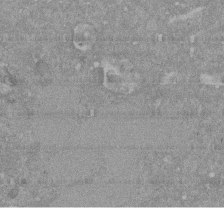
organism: Mouse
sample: ED-1 cell nuclei; centrioles